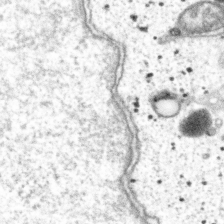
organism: Human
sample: HeLa cells